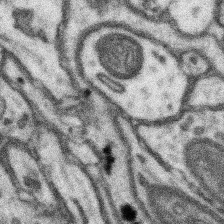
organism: Mouse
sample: Somatosensory cortex neuropil